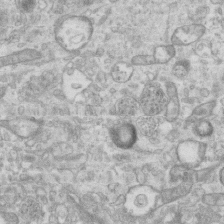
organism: Mouse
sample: Centriole in ependymal cells